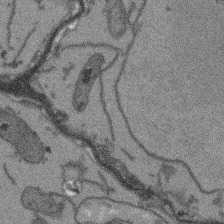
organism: Arabidopsis thaliana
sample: Root tip